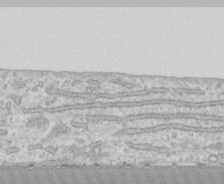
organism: Human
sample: CRL-1474